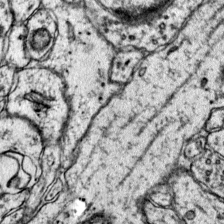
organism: Mouse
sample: Primary visual cortex